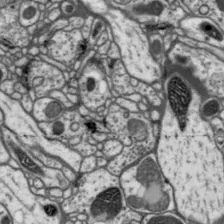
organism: Drosophila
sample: Protocerebral bridge